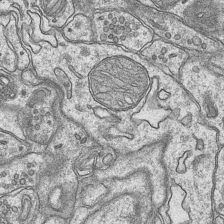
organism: Mouse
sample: CA1 Hippocampus